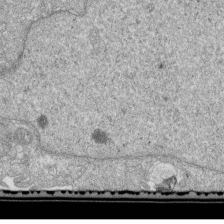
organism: Human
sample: HeLa cell HIV synapse